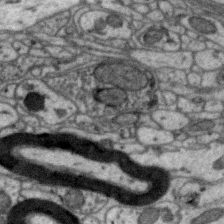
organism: Zebra finch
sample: Brain